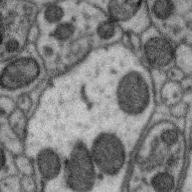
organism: Zebra finch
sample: Brain